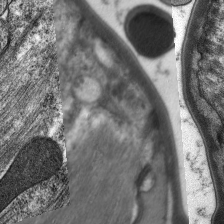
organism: C. elegans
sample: Pharynx